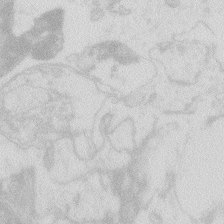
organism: Zebrafish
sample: Macrophage